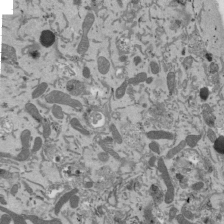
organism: Mouse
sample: ED-1 cell nuclei; centrioles